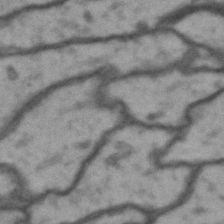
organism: Drosophila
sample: Brain